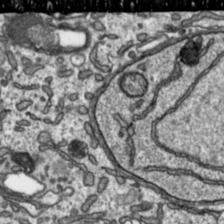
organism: Toxoplasma gondii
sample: Parasites in a vacuole inside a host cell